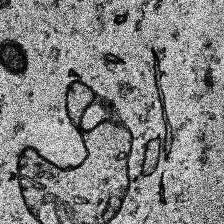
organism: Human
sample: Temporal Lobe